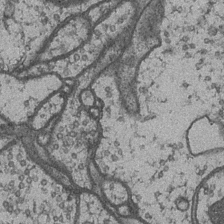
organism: Drosophila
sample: Optic medulla